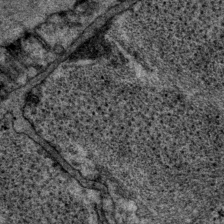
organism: P. pacificus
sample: Pharynx